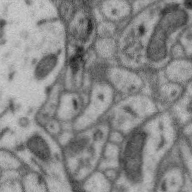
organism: Zebra finch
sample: Brain